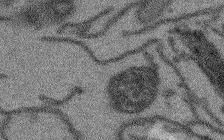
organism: Arabidopsis thaliana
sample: Root tip